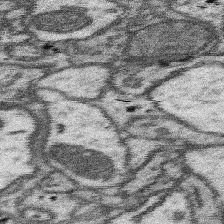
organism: Mouse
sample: Somatosensory cortex neuropil